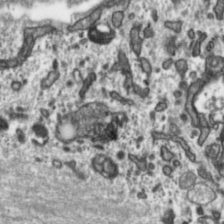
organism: Toxoplasma gondii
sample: Parasites in a vacuole inside a host cell